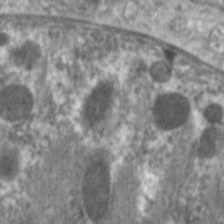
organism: C. elegans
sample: Pharynx